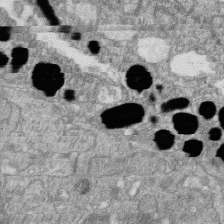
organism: Zebrafish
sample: Cilia; retinal pigment epithelium